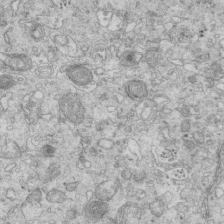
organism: Mouse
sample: Multiciliated cells